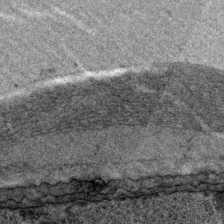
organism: P. pacificus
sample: Pharynx